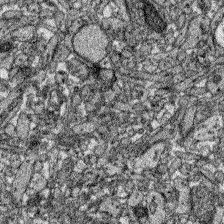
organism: Zebrafish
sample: Larval olfactory bulb